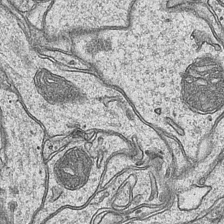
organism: Mouse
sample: CA1 Hippocampus